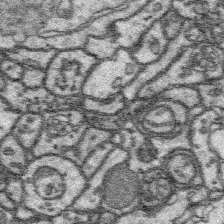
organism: Platynereis dumerilii